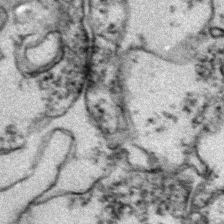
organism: Zebrafish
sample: Zebrafish embryo